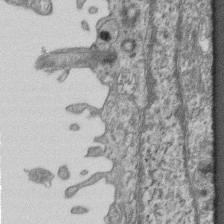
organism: Mouse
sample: Centriole in ependymal cells